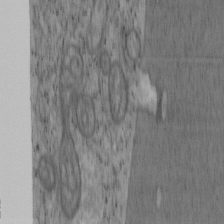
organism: Human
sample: HeLa cells